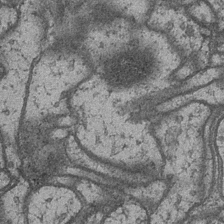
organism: Drosophila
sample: Optic medulla